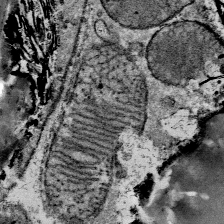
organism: Mouse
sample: Mouse Salivary gland